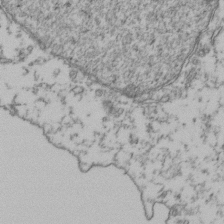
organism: Human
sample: Activated Jurkat CD4+ T cells